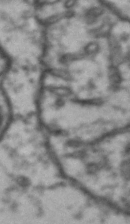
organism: Drosophila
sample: Brain